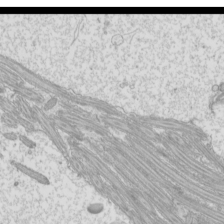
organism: Mouse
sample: Cilia; mouse epididymis